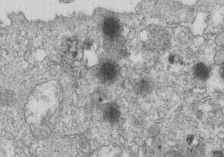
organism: Human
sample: HeLa cell HIV synapse